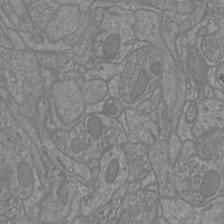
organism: Mouse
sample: Cortical neurons